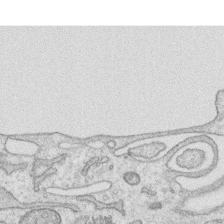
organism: Human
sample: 1205lu cells